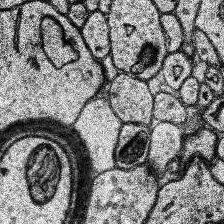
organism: Human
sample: Temporal Lobe